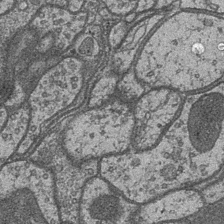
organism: Drosophila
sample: Optic medulla